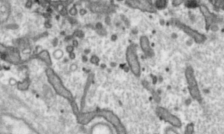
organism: Toxoplasma gondii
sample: Parasites in a vacuole inside a host cell